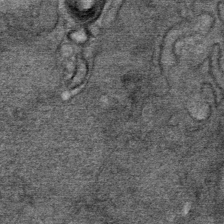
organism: Mouse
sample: Mouse Salivary gland